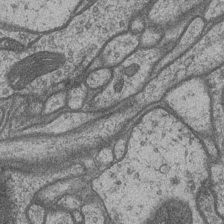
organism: Drosophila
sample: Optic medulla